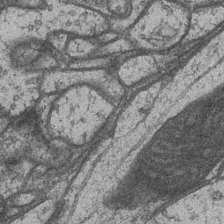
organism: Drosophila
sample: Optic medulla